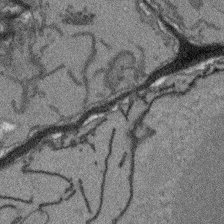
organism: Arabidopsis thaliana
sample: Root tip